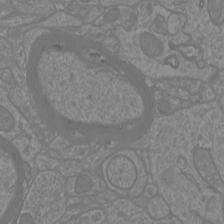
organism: Mouse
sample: Cortical neurons